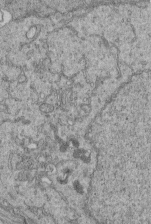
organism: Human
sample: Retinal organoid Rod and Cone cells